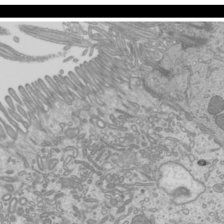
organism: Mouse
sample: Cilia; mouse epididymis